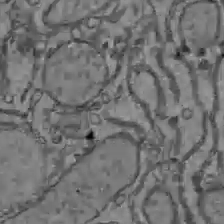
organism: C57BL Mouse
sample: Liver